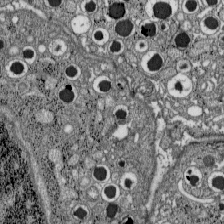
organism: C57BL Mouse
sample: Pancreatic islet